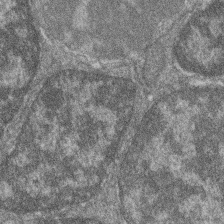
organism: Zebrafish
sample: Cilia; retinal pigment epithelium